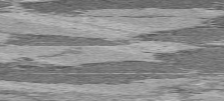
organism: C57BL Mouse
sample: Heart